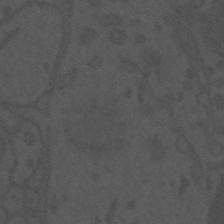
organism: Mouse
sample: Suprachiasmatic nucleus